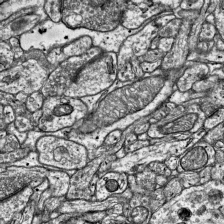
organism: Mouse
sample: Visual Cortex